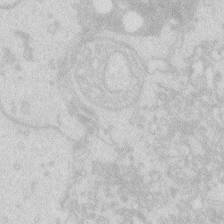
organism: Zebrafish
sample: Macrophage